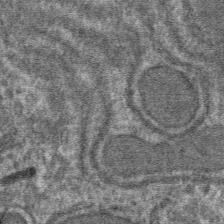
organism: Mouse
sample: Mouse hepatocytes